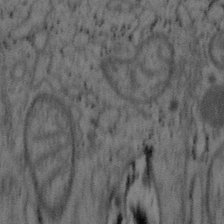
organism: Human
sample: HeLa cells